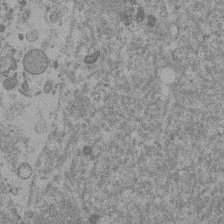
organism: Mouse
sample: Dividing mouse embryo 1 cell stage